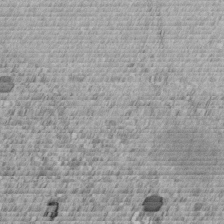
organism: C. elegans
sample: C. elegans embryo early stage